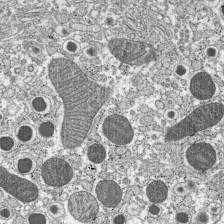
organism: C57BL Mouse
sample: Pancreatic islet